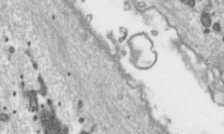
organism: Toxoplasma gondii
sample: Parasites in a vacuole inside a host cell